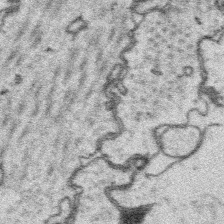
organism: Platynereis dumerilii